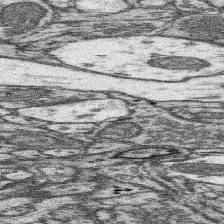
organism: Mouse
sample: Somatosensory cortex neuropil